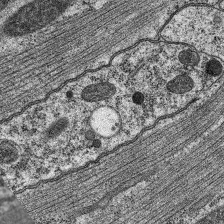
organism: C. elegans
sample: Pharynx